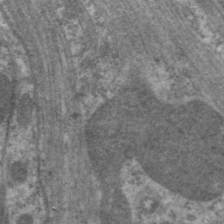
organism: C. elegans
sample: Pharynx